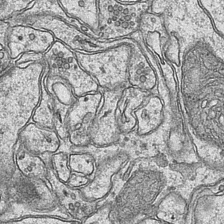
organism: Mouse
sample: CA1 Hippocampus